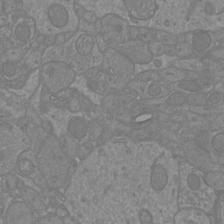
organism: Mouse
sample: Cortical neurons